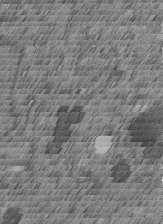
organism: C. elegans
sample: C. elegans embryo early stage